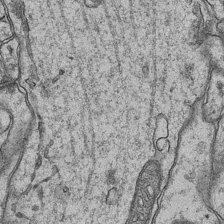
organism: Mouse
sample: CA1 Hippocampus